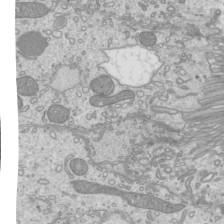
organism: Mouse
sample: Cilia; mouse epididymis